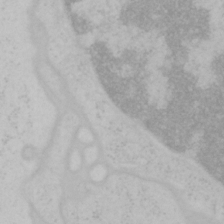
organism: Mouse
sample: OT-I killer T cells with ID8 ovarian cancer cells